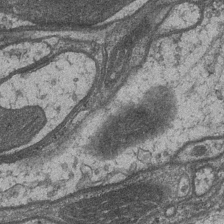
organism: Drosophila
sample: Optic medulla